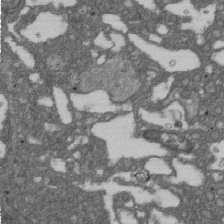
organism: Drosophila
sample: Nephrocyte